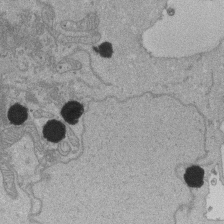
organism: Human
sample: Activated Jurkat CD4+ T cells